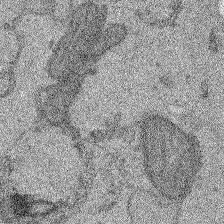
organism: Human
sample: HeLa cells